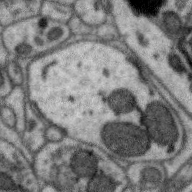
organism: Zebra finch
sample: Brain